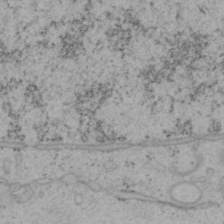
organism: Human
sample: HeLa cells